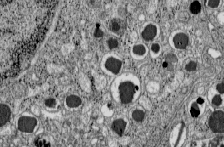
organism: C57BL Mouse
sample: Pancreatic islet